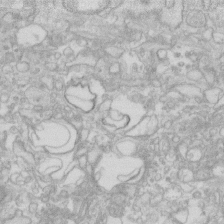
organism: Human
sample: Fibroblast cells